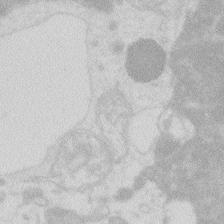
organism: Zebrafish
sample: Macrophage